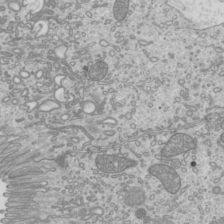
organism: Mouse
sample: Cilia; mouse epididymis